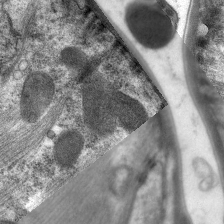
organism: C. elegans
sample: Pharynx